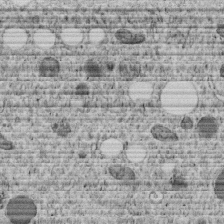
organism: C. elegans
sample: C. elegans embryo early stage